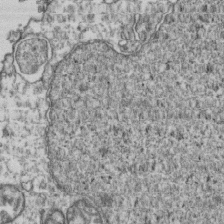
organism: Human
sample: Activated Jurkat CD4+ T cells